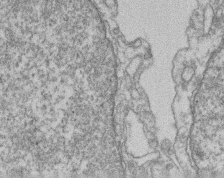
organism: Mouse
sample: T cell stromal cell synapse